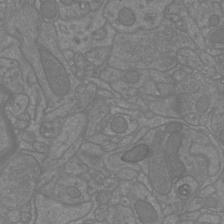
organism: Mouse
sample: Cortical neurons